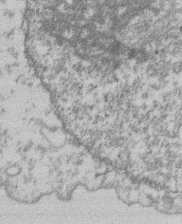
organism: Mouse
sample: T cell stromal cell synapse